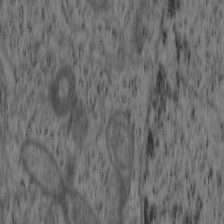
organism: Human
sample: HeLa cells